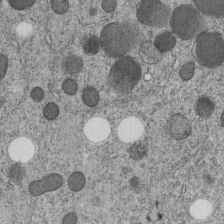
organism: C. elegans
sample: C. elegans embryo early stage